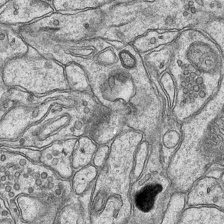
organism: Mouse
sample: CA1 Hippocampus